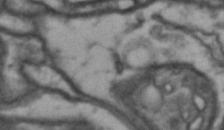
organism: Drosophila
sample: Brain